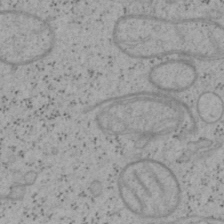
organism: Human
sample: HeLa cells